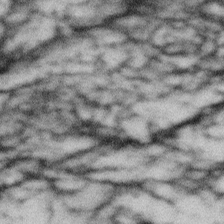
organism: Gemmata obscuriglobus